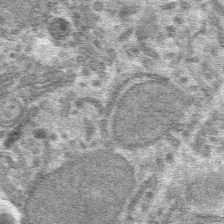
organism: Mouse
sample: Mouse hepatocytes